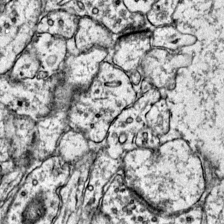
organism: Mouse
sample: Primary visual cortex